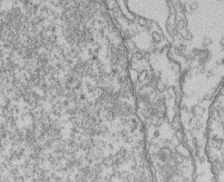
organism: Mouse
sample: T cell stromal cell synapse